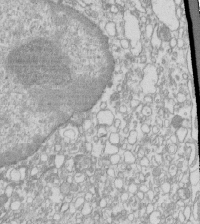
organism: Mouse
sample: Macrophages